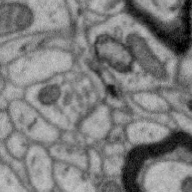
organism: Zebra finch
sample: Brain